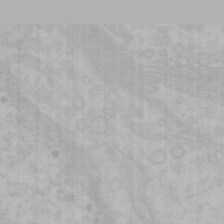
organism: Mouse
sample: Choroid plexus